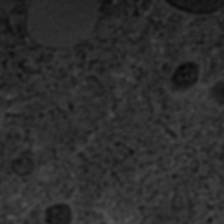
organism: C. elegans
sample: C. elegans embryo